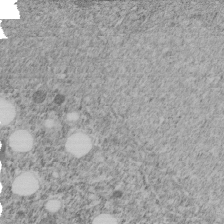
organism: C. elegans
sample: C. elegans embryo early stage